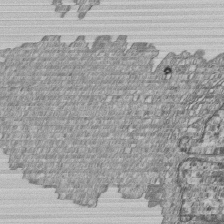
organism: Human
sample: MDA-MB-231 cells